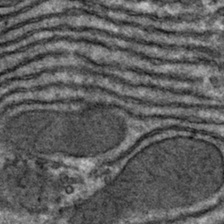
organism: Mouse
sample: Mouse hepatocytes